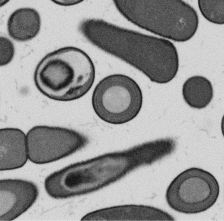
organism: B. subtilis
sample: Bacterial spore